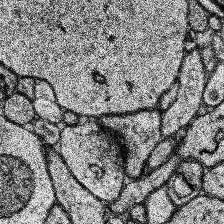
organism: Human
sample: Temporal Lobe